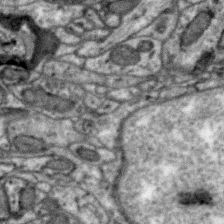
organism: Zebra finch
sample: Brain